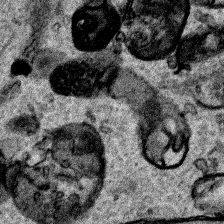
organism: Human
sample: Mitochondria in HCT116 cells